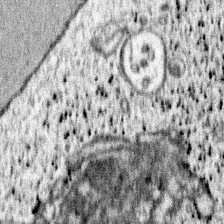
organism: Human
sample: HeLa cells